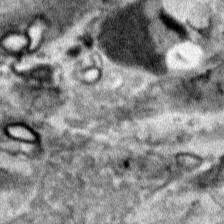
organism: Human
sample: Mitochondria in HCT116 cells